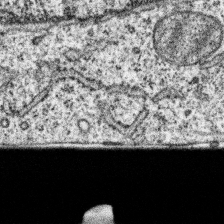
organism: Human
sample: HeLa cells